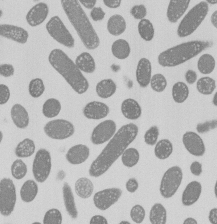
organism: E. coli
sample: Bacterial nucleoid